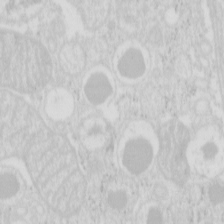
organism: Mouse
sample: Pancreas